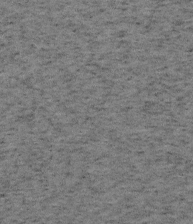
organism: Mouse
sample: OT-I killer T cells with ID8 ovarian cancer cells